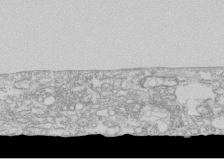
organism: Human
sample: CRL-1474